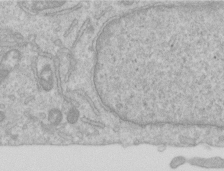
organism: Human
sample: Centriole in RPE cells